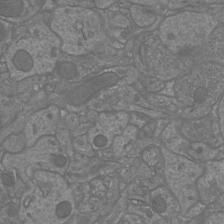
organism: Mouse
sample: Cortical neurons